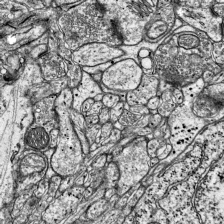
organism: Mouse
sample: Visual Cortex